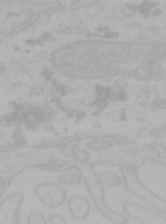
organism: Mouse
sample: Choroid plexus